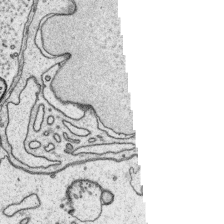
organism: Platynereis dumerilii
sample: Parapodia